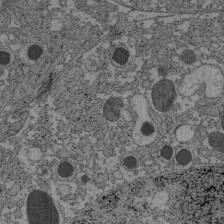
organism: C57BL Mouse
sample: Pancreatic islet